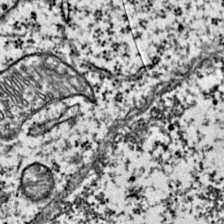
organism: Mouse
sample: Primary visual cortex